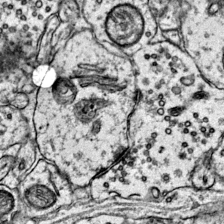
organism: Mouse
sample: Primary visual cortex